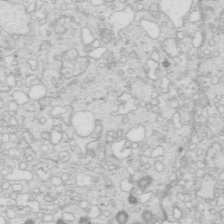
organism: Mouse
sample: Multiciliated cells